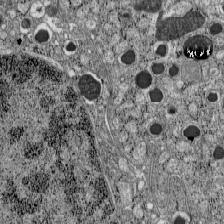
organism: C57BL Mouse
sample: Pancreatic islet